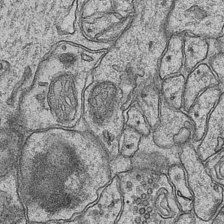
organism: Mouse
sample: CA1 Hippocampus